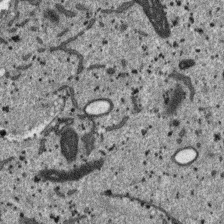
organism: Human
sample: Lung epithelial cells infected with SARS-CoV-2